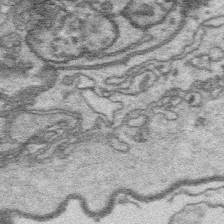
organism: Platynereis dumerilii